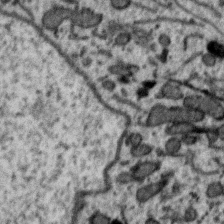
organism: Zebra finch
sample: Brain